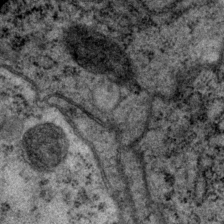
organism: P. pacificus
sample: Pharynx